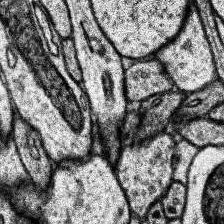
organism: Human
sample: Temporal Lobe